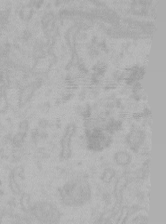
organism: Mouse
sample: Choroid plexus